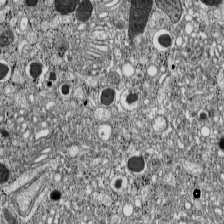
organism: C57BL Mouse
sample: Pancreatic islet